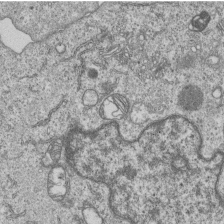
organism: Human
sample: MDA-MB-231 cells